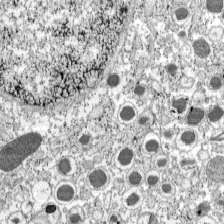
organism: C57BL Mouse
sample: Pancreatic islet